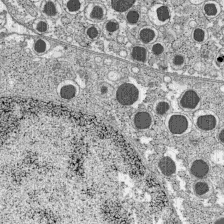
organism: C57BL Mouse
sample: Pancreatic islet